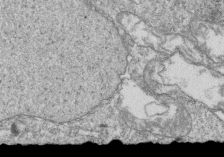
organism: Human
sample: HeLa cell HIV synapse